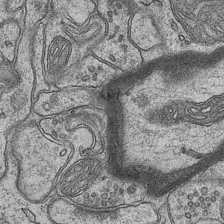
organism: Mouse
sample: CA1 Hippocampus